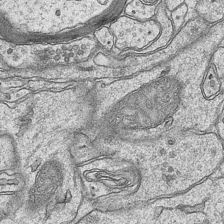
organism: Mouse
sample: CA1 Hippocampus